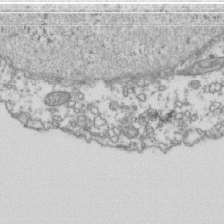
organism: Human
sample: Activated Jurkat CD4+ T cells